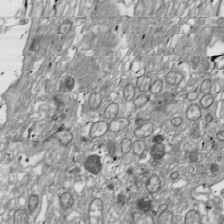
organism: Drosophila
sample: Cell division; meiosis; drosophila spermatocytes